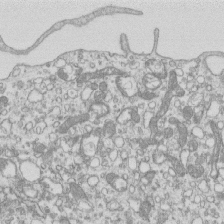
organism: Mouse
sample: Macrophages